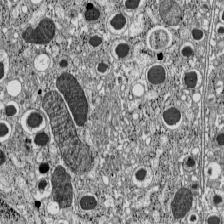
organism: C57BL Mouse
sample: Pancreatic islet